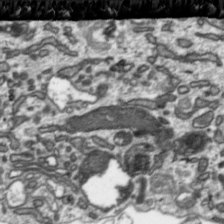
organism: Toxoplasma gondii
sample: Parasites in a vacuole inside a host cell